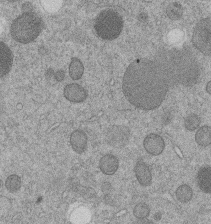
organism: C. elegans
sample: C. elegans embryo early stage